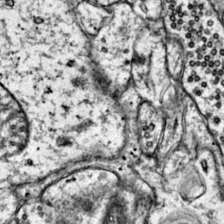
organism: Mouse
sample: Primary visual cortex